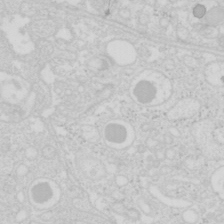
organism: Mouse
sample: Pancreas